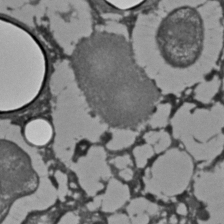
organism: C. elegans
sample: C. elegans embryo